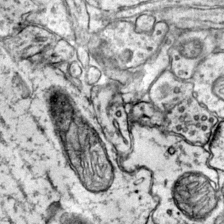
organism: Mouse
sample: Primary visual cortex